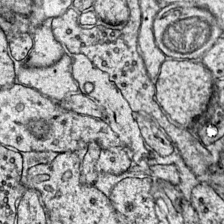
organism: Mouse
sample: Primary visual cortex